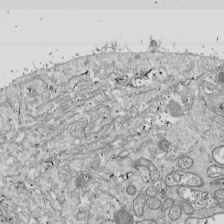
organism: Drosophila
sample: Cell division; meiosis; drosophila spermatocytes